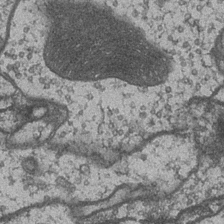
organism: Drosophila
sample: Optic medulla